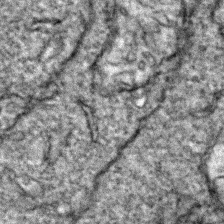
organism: Zebrafish